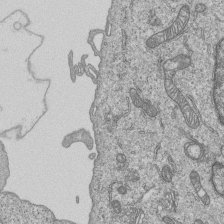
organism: Human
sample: MDA-MB-231 cells